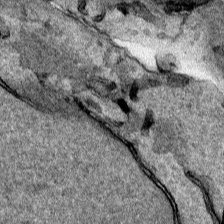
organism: Human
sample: Mitochondria in HCT116 cells